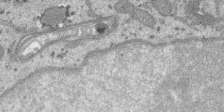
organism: Human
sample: Lung epithelial cells infected with SARS-CoV-2